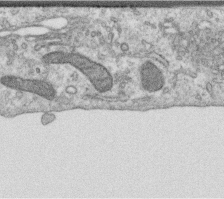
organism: Human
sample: Centriole in RPE cells